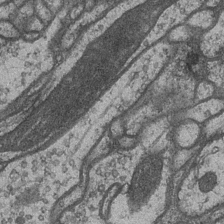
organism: Drosophila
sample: Optic medulla